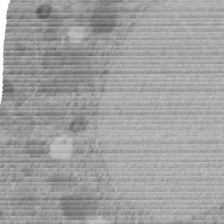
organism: C. elegans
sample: C. elegans embryo early stage